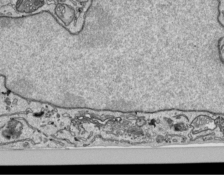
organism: Human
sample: Mitochondria in HCT116 cells